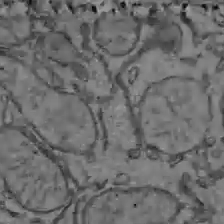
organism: C57BL Mouse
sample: Liver